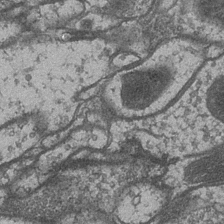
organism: Drosophila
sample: Optic medulla